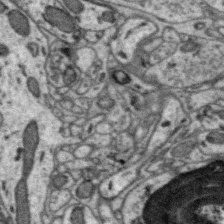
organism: Zebra finch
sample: Brain